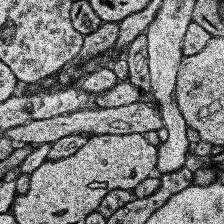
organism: Human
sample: Temporal Lobe